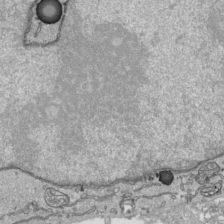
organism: Human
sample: Mitochondria in HCT116 cells